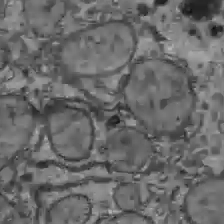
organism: C57BL Mouse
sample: Liver